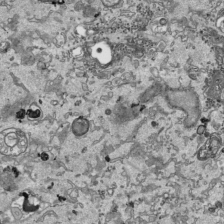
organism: Human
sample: Mitochondria in HCT116 cells